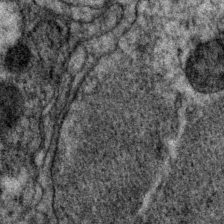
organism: P. pacificus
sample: Pharynx